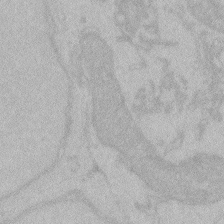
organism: Zebrafish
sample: Macrophage infected with Toxoplasma gondii